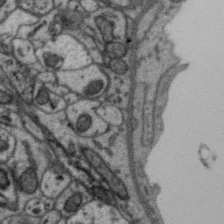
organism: Zebra finch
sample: Brain